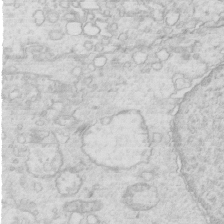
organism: Mouse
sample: Multiciliated cells